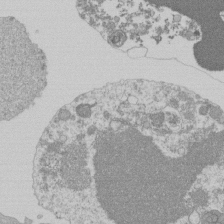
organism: Mouse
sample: Activated Pmel transgenic CD8+ T Cells